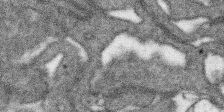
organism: Human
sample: Lung epithelial cells infected with SARS-CoV-2